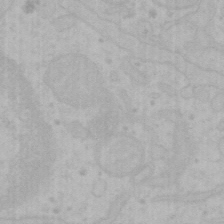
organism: Mouse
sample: Choroid plexus